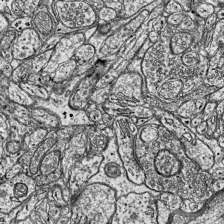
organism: Mouse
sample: Visual Cortex